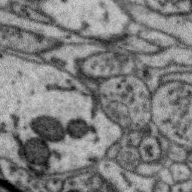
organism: Zebra finch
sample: Brain